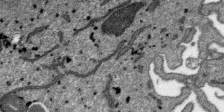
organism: Human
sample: Lung epithelial cells, uninfected (mock) control